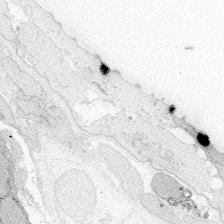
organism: Zebrafish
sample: Whole-Brain